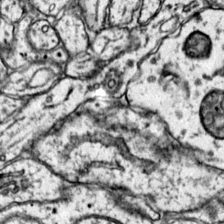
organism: Mouse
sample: Primary visual cortex